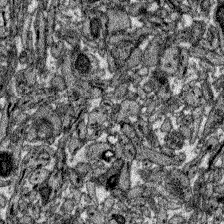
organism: Zebrafish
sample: Larval olfactory bulb